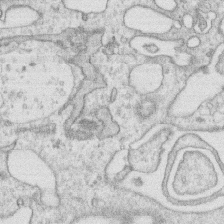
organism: Human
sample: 1205lu cells